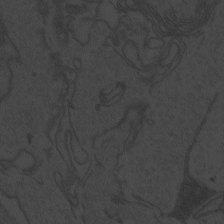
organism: Zebrafish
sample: Macrophage infected with Toxoplasma gondii